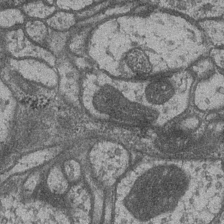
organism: Drosophila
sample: Optic medulla